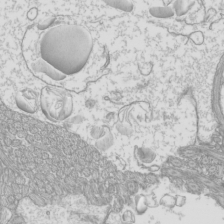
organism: Mouse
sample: Cilia; mouse epididymis